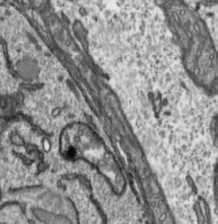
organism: Toxoplasma gondii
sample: Parasites in a vacuole inside a host cell